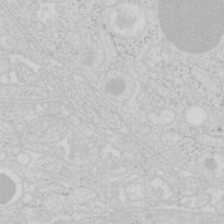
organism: Mouse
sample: Pancreas